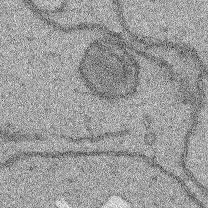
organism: Human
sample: HeLa cells